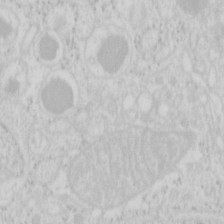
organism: Mouse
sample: Pancreas